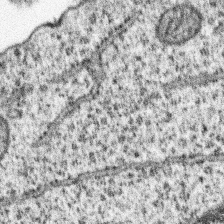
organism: Human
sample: HeLa cells